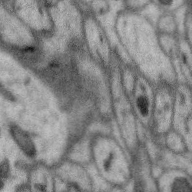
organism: Zebra finch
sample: Brain